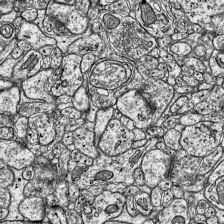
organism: Mouse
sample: Visual Cortex